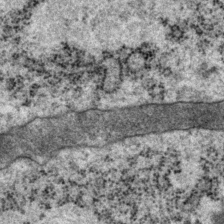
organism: P. pacificus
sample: Pharynx